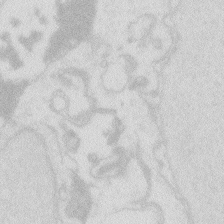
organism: Zebrafish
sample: Macrophage